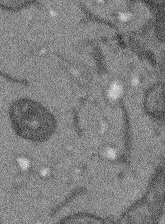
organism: Arabidopsis thaliana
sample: Root tip